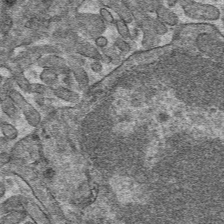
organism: Mouse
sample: Mouse hepatocytes